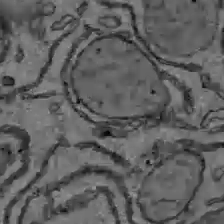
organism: C57BL Mouse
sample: Liver